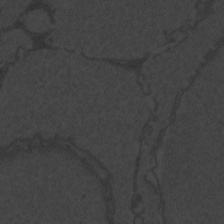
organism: Zebrafish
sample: Macrophage infected with Toxoplasma gondii